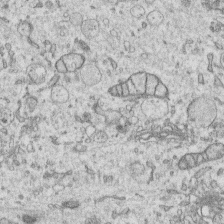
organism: Human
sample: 1205lu cells